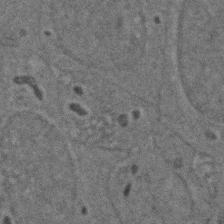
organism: Zebrafish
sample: Zebrafish embryo